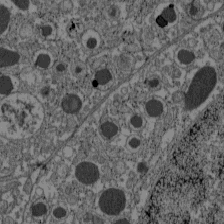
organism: C57BL Mouse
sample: Pancreatic islet